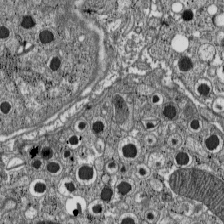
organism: C57BL Mouse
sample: Pancreatic islet